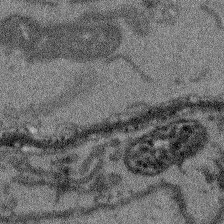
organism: Arabidopsis thaliana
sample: Root tip